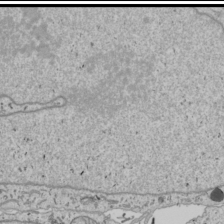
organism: Human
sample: Mitochondria in U2OS cells